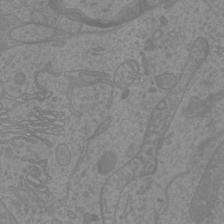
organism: Mouse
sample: Cortical neurons